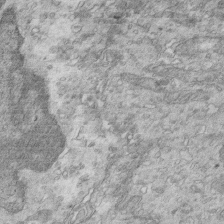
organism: Mouse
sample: Multiciliated cells